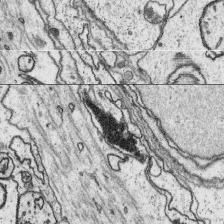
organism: Platynereis dumerilii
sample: Parapodia